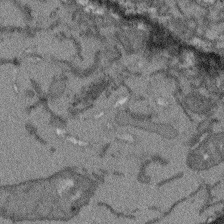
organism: Arabidopsis thaliana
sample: Root tip